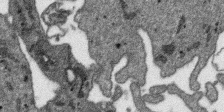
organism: Human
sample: Lung epithelial cells infected with SARS-CoV-2